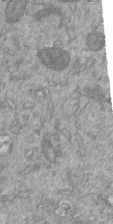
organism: Mouse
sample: ED-1 cell nuclei; centrioles